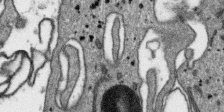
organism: Human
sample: Lung epithelial cells, uninfected (mock) control